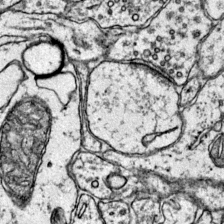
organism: Mouse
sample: Primary visual cortex